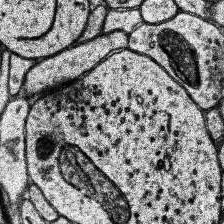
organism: Human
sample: Temporal Lobe